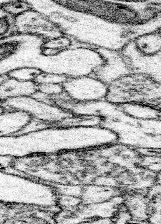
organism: Mouse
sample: Somatosensory cortex neuropil